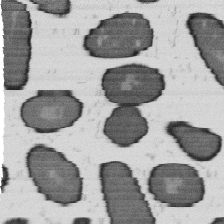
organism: B. subtilis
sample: Bacterial spore